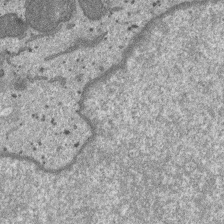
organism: Human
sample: Lung epithelial cells infected with SARS-CoV-2